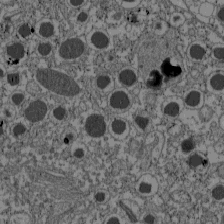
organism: C57BL Mouse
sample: Pancreatic islet